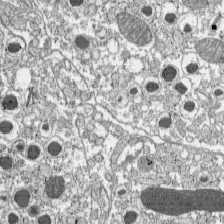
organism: C57BL Mouse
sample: Pancreatic islet